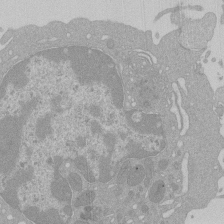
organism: Mouse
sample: Activated Pmel transgenic CD8+ T Cells